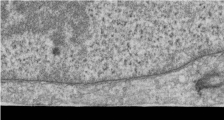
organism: Human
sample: Centriole in RPE cells